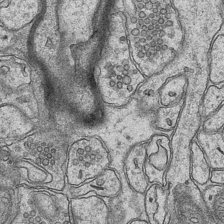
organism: Mouse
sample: CA1 Hippocampus